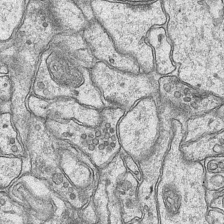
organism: Mouse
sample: CA1 Hippocampus